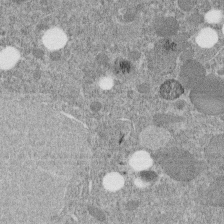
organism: C. elegans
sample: C. elegans embryo early stage